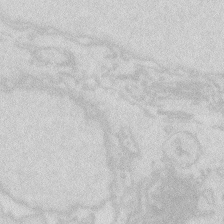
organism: Zebrafish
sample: Macrophage